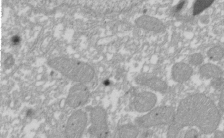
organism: Xenopus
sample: Cilia; centrioles in frog embryo cells